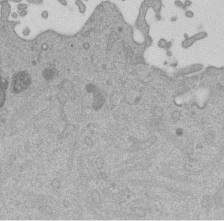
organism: Mouse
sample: Dividing mouse embryo 1 cell stage